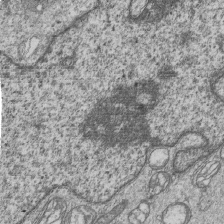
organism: Human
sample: MDA-MB-231 cells